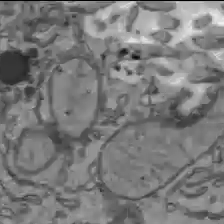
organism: C57BL Mouse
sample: Liver